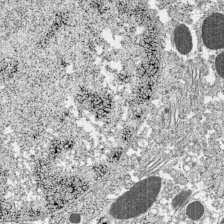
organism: C57BL Mouse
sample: Pancreatic islet